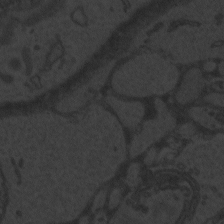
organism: Zebrafish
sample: Macrophage infected with Toxoplasma gondii